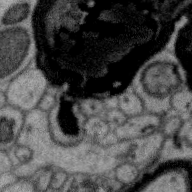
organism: Zebra finch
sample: Brain